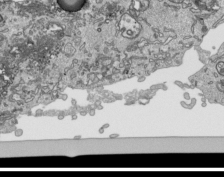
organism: Human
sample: Mitochondria in HCT116 cells